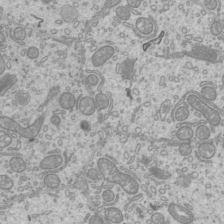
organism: Mouse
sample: Cilia; mouse epididymis